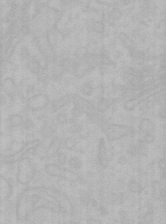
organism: Mouse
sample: Choroid plexus